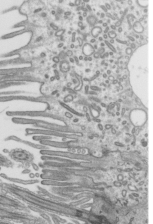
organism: Mouse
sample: Mouse epididymis efferent ductule cilia